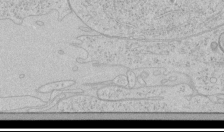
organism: Human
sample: Mitochondria in HCT116 cells